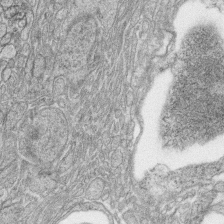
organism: Zebrafish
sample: synaptic ribbons in rod cells and cone cells